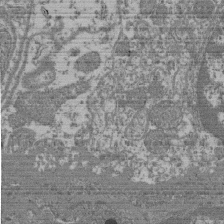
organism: Mouse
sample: Glomerulus